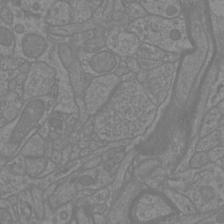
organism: Mouse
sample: Cortical neurons